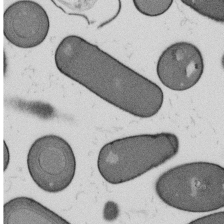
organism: B. subtilis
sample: Bacterial spore